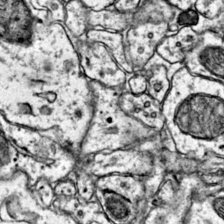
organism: Mouse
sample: Primary visual cortex